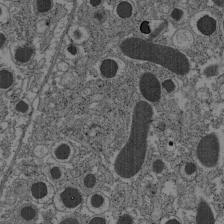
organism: C57BL Mouse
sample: Pancreatic islet